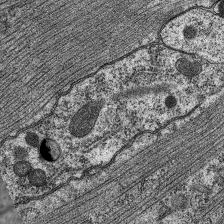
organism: C. elegans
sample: Pharynx